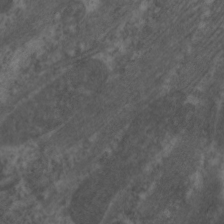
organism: C. elegans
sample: Pharynx